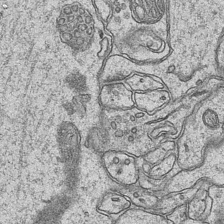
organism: Mouse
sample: CA1 Hippocampus